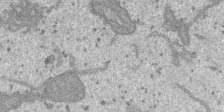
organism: Human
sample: Lung epithelial cells infected with SARS-CoV-2